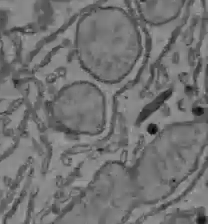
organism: C57BL Mouse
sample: Liver